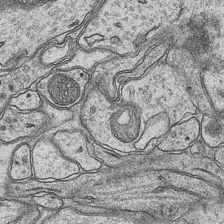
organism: Mouse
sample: CA1 Hippocampus